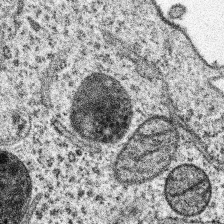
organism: Human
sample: HeLa cells